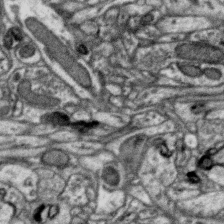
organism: Zebra finch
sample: Brain